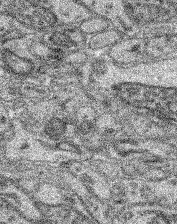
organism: Mouse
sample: Retina